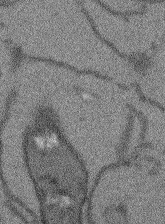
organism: Arabidopsis thaliana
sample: Root tip